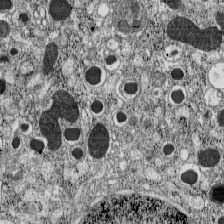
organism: C57BL Mouse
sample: Pancreatic islet